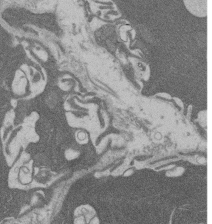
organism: Rat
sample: Salivary granule